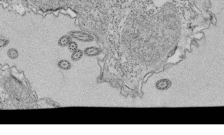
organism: Tetrahymena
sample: Cilia in tetrahymena